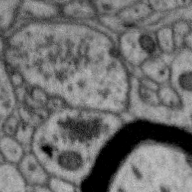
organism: Zebra finch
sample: Brain